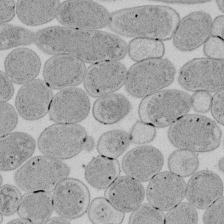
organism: E. coli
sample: Bacterial nucleoid